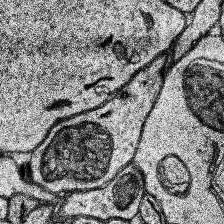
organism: Human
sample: Temporal Lobe